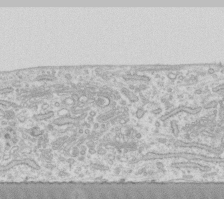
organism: Human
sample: Fibroblast cells